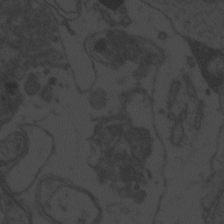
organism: Zebrafish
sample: Macrophage infected with Toxoplasma gondii